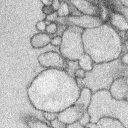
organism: Rabbit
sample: Retina